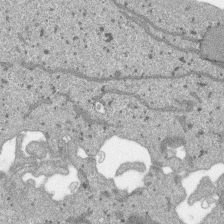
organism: Human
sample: Lung epithelial cells infected with SARS-CoV-2